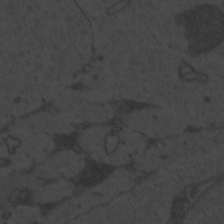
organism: Zebrafish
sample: Macrophage infected with Toxoplasma gondii